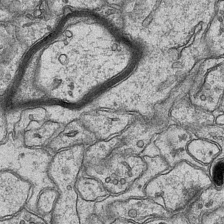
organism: Mouse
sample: CA1 Hippocampus